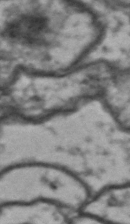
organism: Drosophila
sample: Brain